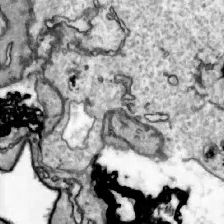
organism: Zebrafish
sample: Actinotrichia fibers